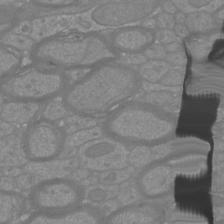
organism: Mouse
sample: Cortical neurons